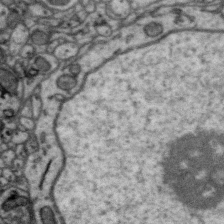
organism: Zebra finch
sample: Brain